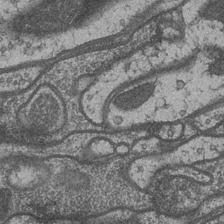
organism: Drosophila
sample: Optic medulla